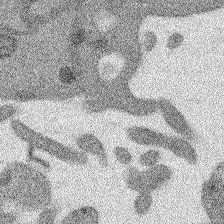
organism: Human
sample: HeLa cells